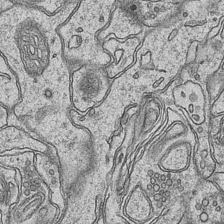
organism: Mouse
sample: CA1 Hippocampus